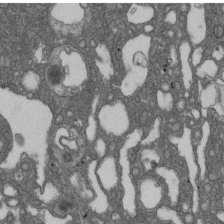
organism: Drosophila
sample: Nephrocyte